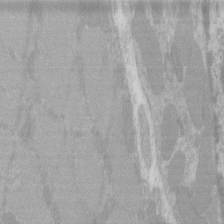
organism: C57BL Mouse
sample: Tibialis anterior muscle cell